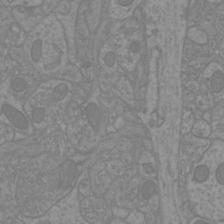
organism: Mouse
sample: Cortical neurons